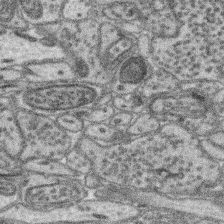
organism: Mouse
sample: Retina